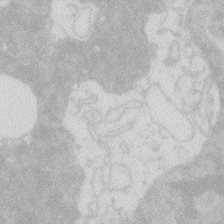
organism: Zebrafish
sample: Macrophage